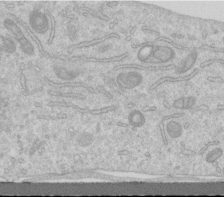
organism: Human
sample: Centriole in RPE cells